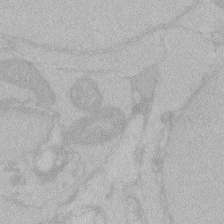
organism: Zebrafish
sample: Macrophage infected with Toxoplasma gondii